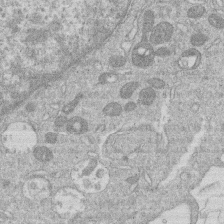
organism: Human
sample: Macrophage cells